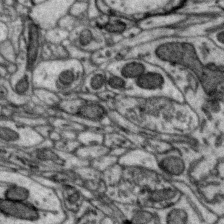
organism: Zebra finch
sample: Brain